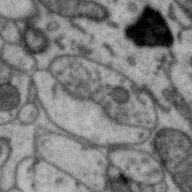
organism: Zebra finch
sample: Brain